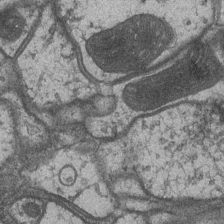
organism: Drosophila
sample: Optic medulla